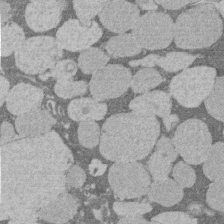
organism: Rat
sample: Salivary granule